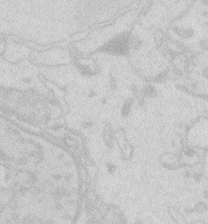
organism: Zebrafish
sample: Macrophage